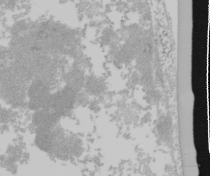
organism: Mouse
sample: Cancer cell death in ED-1 cells